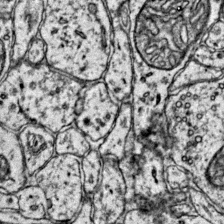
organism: Mouse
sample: Primary visual cortex